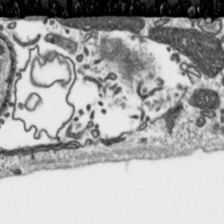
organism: Toxoplasma gondii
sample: Parasites in a vacuole inside a host cell